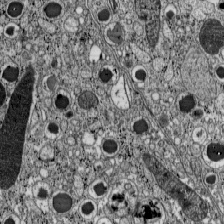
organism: C57BL Mouse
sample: Pancreatic islet